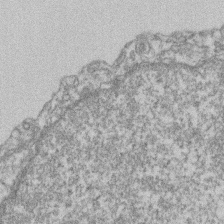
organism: Mouse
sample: T cell stromal cell synapse